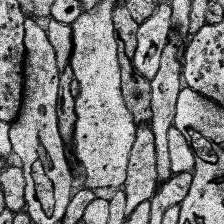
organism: Human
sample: Temporal Lobe